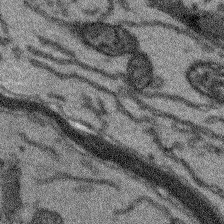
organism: Arabidopsis thaliana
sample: Root tip